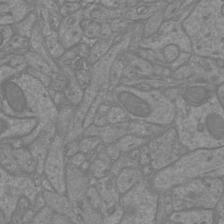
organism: Mouse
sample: Cortical neurons